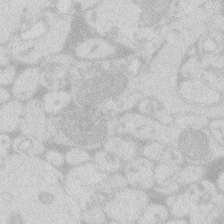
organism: Zebrafish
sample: Macrophage